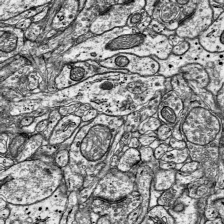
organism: Mouse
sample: Visual Cortex